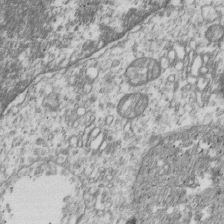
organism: Human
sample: MDA-MB-231 cells